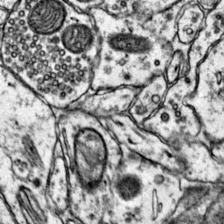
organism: Mouse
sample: Primary visual cortex